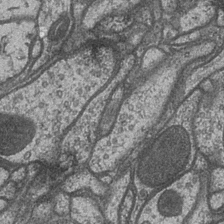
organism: Drosophila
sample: Optic medulla